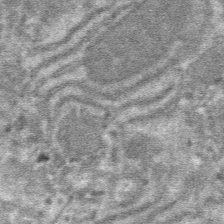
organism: Mouse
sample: Mouse hepatocytes